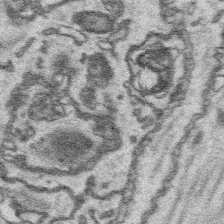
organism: Platynereis dumerilii